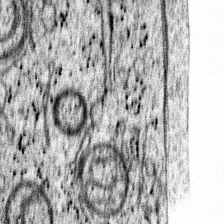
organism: Human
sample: HeLa cells